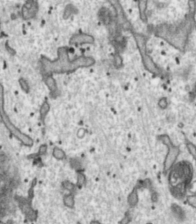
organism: Toxoplasma gondii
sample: Parasites in a vacuole inside a host cell